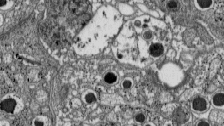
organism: C57BL Mouse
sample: Pancreatic islet